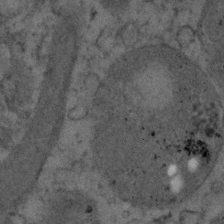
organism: Human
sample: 1205lu cells